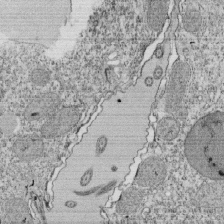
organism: Tetrahymena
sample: Cilia in tetrahymena